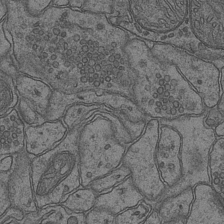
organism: Mouse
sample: CA1 Hippocampus